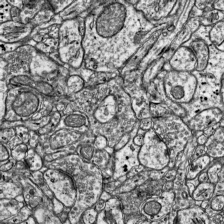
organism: Mouse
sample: Visual Cortex